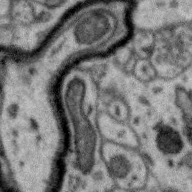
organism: Zebra finch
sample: Brain